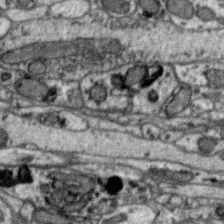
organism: Zebra finch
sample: Brain